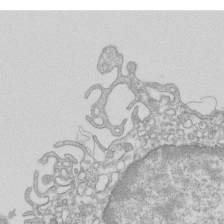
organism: Mouse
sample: Macrophages